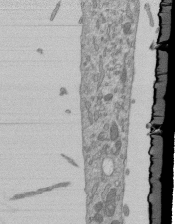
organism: Mouse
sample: ED-1 cell nuclei; centrioles